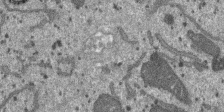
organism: Human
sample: Lung epithelial cells infected with SARS-CoV-2